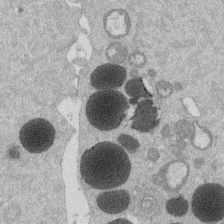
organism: Mouse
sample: Dividing mouse embryo 1 cell stage